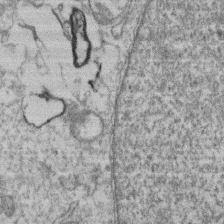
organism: Mouse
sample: T cell stromal cell synapse